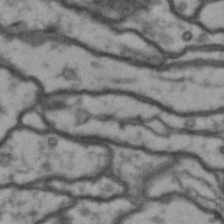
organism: Drosophila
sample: Brain